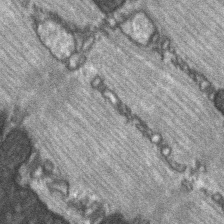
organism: C57BL Mouse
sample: Soleus